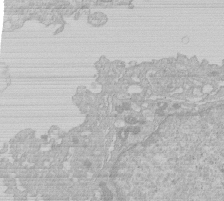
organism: Human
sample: Macrophage cells